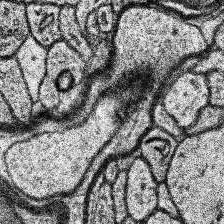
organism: Human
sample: Temporal Lobe